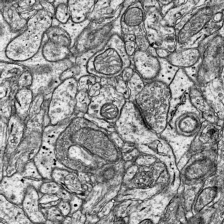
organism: Mouse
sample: Visual Cortex